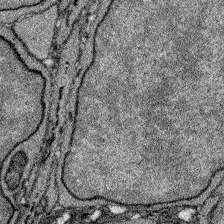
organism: Zebrafish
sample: Larval olfactory bulb